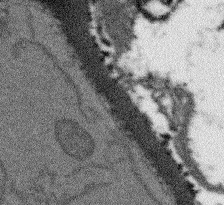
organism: Arabidopsis thaliana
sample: Root tip